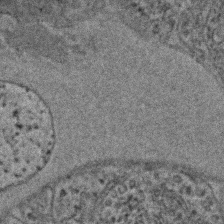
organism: C. elegans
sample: C. elegans embryo